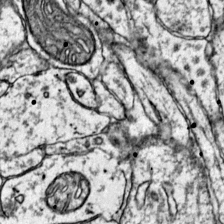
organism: Mouse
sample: Primary visual cortex